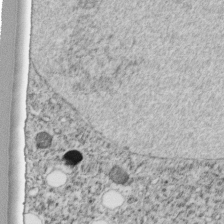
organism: C. elegans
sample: C. elegans embryo early stage